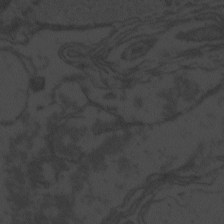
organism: Zebrafish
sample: Macrophage infected with Toxoplasma gondii